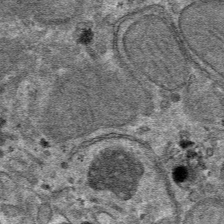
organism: Mouse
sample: Mouse hepatocytes